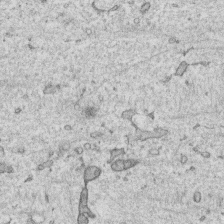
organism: Human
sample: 1205lu cells